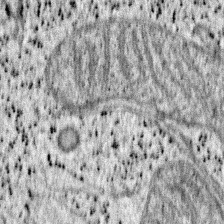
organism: Human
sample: HeLa cells